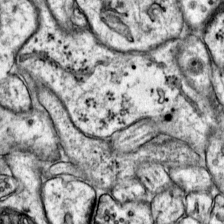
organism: Mouse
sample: Primary visual cortex